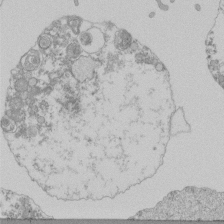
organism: Mouse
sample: Activated Pmel transgenic CD8+ T Cells